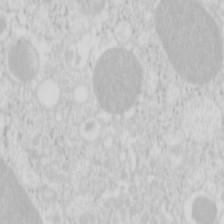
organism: Mouse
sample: Pancreas